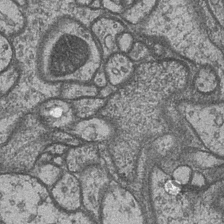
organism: Drosophila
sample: Optic medulla